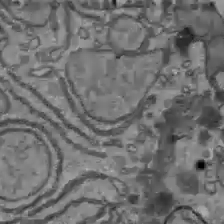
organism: C57BL Mouse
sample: Liver